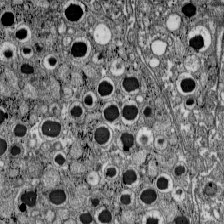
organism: C57BL Mouse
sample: Pancreatic islet